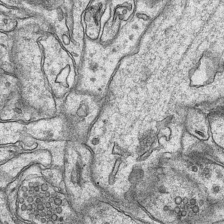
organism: Mouse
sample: CA1 Hippocampus